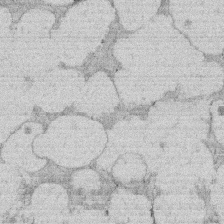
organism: Rat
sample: Salivary granule